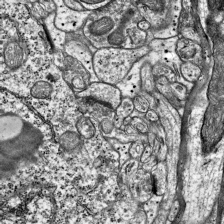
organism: Mouse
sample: Visual Cortex